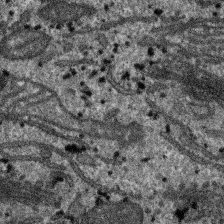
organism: Human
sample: Lung epithelial cells infected with SARS-CoV-2